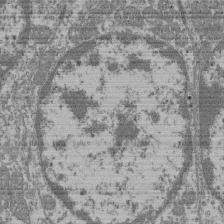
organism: Mouse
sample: Glomerulus